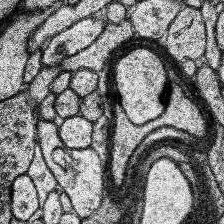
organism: Human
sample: Temporal Lobe